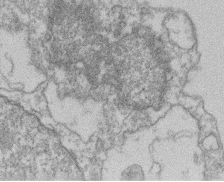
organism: Mouse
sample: T cell stromal cell synapse